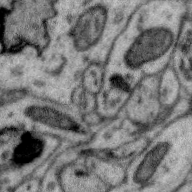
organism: Zebra finch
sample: Brain